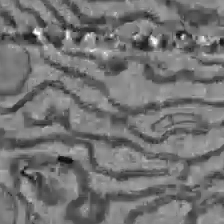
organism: C57BL Mouse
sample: Liver